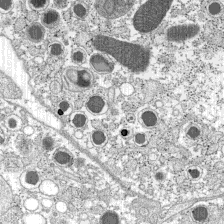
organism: C57BL Mouse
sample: Pancreatic islet